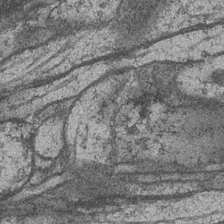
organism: Drosophila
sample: Optic medulla